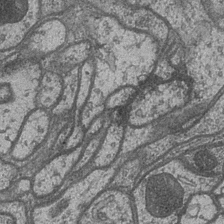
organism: Drosophila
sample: Optic medulla